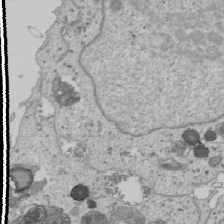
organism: Human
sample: Mitochondria in U2OS cells